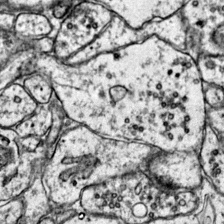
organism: Mouse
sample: Primary visual cortex